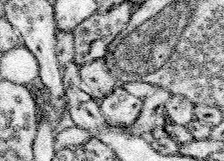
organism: Mouse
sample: Somatosensory cortex neuropil